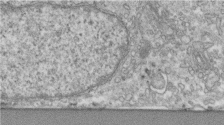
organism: Human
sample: Centriole in fibroblast cells